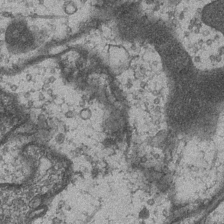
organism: Drosophila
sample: Optic medulla